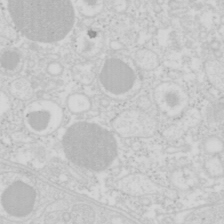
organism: Mouse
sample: Pancreas